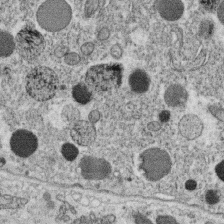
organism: C. elegans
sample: C. elegans oocyte; sperm cells